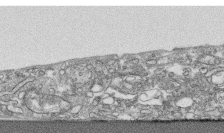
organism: Human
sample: CRL-1474